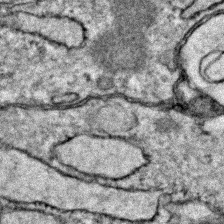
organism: Zebrafish